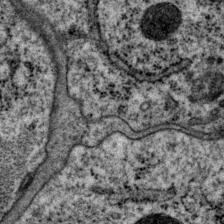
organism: P. pacificus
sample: Pharynx